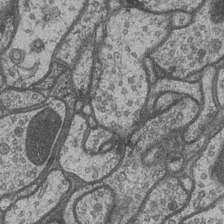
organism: Drosophila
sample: Optic medulla